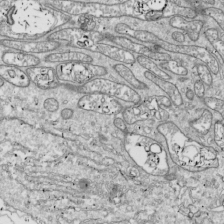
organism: Drosophila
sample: Cell division; meiosis; drosophila spermatocytes